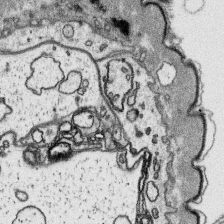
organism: Platynereis dumerilii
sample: Parapodia